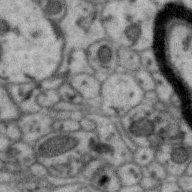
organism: Zebra finch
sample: Brain